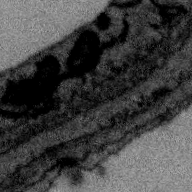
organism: Zebra finch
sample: Brain